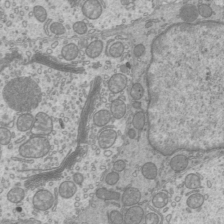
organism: Mouse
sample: Cilia; mouse epididymis